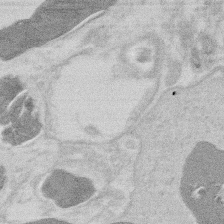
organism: Mouse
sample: T cell stromal cell synapse